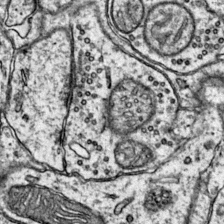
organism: Mouse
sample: Primary visual cortex